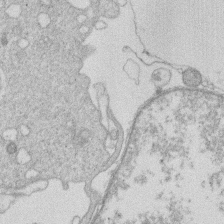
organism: Human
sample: Macrophage cells